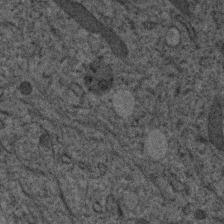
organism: Human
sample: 1205lu cells